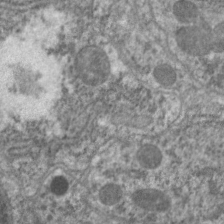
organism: C. elegans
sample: Pharynx